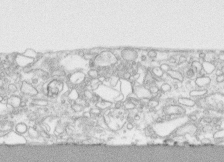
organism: Human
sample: CRL-1474